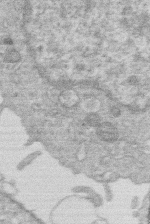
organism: Human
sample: Macrophage cells